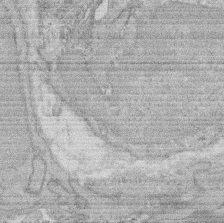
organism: Rat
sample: Salivary granule